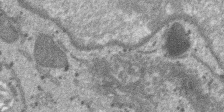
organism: Human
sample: Lung epithelial cells infected with SARS-CoV-2